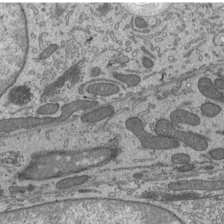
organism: Mouse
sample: Mouse epididymis efferent ductule cilia